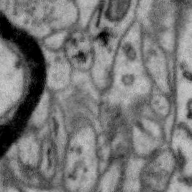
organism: Zebra finch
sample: Brain